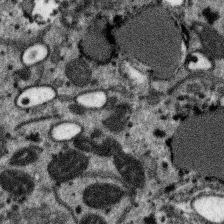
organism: Human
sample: Lung epithelial cells infected with SARS-CoV-2